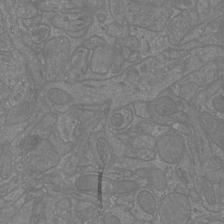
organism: Mouse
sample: Cortical neurons